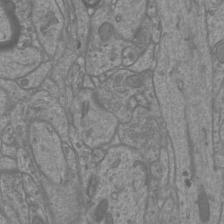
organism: Mouse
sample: Cortical neurons